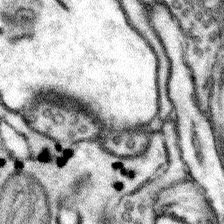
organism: Mouse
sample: Somatosensory cortex neuropil